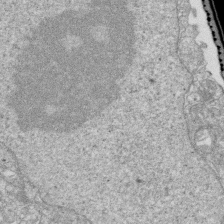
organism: Human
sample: HeLa cell HIV synapse